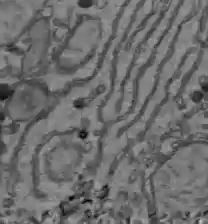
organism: C57BL Mouse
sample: Liver